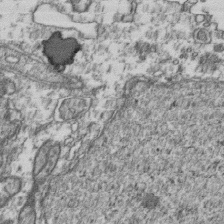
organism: Human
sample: Activated Jurkat CD4+ T cells